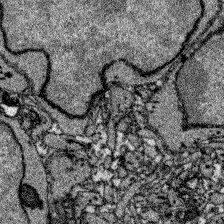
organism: Zebrafish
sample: Larval olfactory bulb